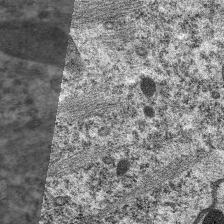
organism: C. elegans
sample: Pharynx